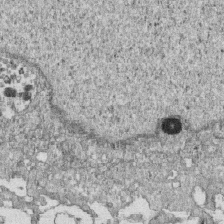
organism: Human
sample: HeLa cell HIV synapse